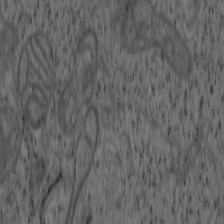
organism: Human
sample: HeLa cells